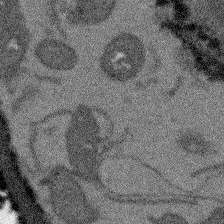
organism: Arabidopsis thaliana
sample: Root tip